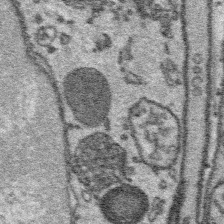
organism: Platynereis dumerilii